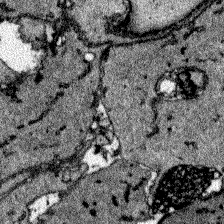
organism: Zebrafish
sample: Larval olfactory bulb